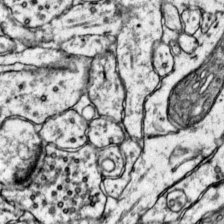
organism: Mouse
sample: Primary visual cortex